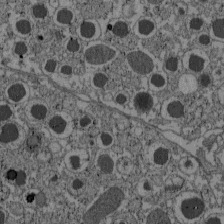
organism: C57BL Mouse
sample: Pancreatic islet